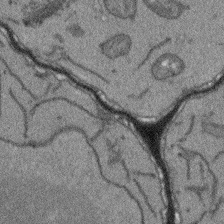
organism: Arabidopsis thaliana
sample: Root tip